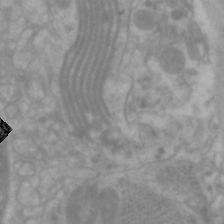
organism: C. elegans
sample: Pharynx